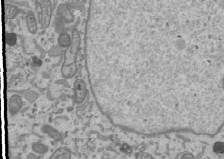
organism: Human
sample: Mitochondria in U2OS cells